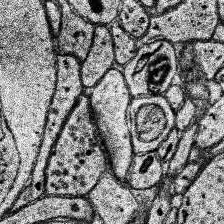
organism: Human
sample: Temporal Lobe